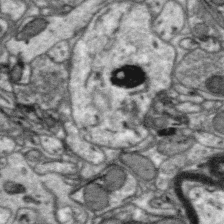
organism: Zebra finch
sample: Brain